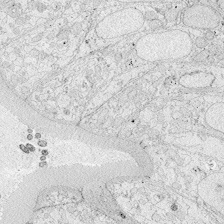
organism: Zebrafish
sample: Whole-Brain